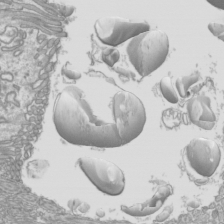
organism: Mouse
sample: Cilia; mouse epididymis